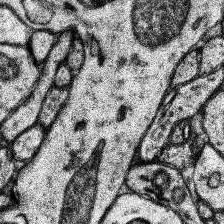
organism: Human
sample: Temporal Lobe